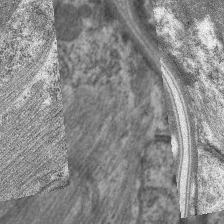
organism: C. elegans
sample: Pharynx